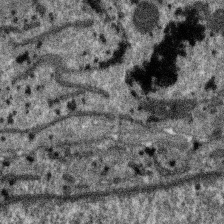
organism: Human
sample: Lung epithelial cells infected with SARS-CoV-2